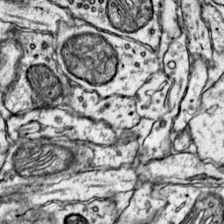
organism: Mouse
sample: Primary visual cortex